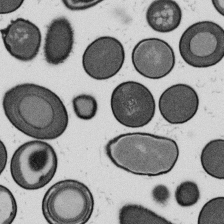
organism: B. subtilis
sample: Bacterial spore